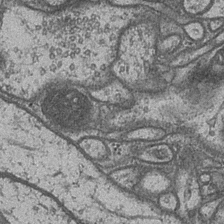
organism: Drosophila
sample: Optic medulla